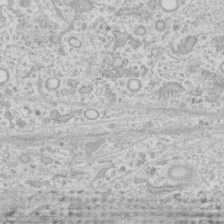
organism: Human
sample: Fibroblast cells